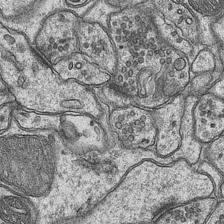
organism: Mouse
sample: CA1 Hippocampus